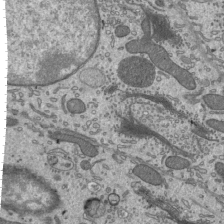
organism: Mouse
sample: Mouse epididymis efferent ductule cilia